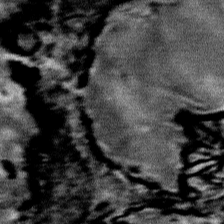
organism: Mouse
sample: Mouse Salivary gland